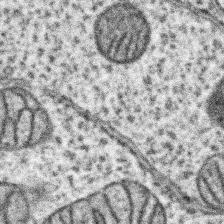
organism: Human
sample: HeLa cells